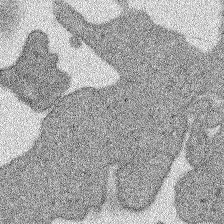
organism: Human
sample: HeLa cells